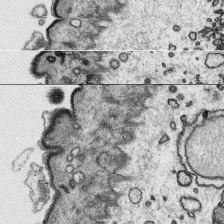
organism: Platynereis dumerilii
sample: Parapodia